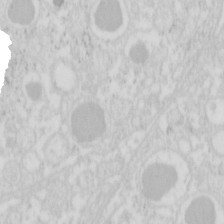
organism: Mouse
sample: Pancreas